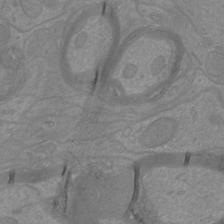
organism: Mouse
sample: Cortical neurons